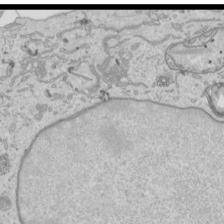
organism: Human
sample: Mitochondria in HCT116 cells